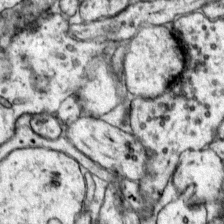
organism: Mouse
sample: Primary visual cortex